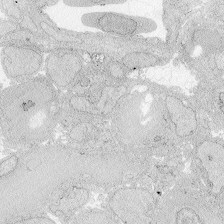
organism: Zebrafish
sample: Whole-Brain